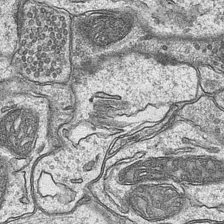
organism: Mouse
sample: CA1 Hippocampus